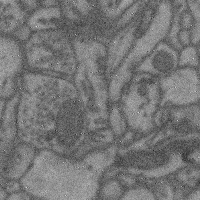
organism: Mouse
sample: Cerebral cortex